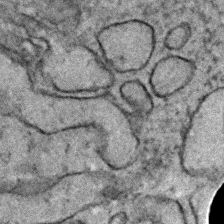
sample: Trachea